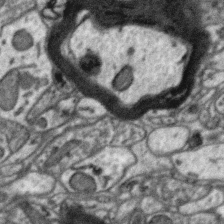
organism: Zebra finch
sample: Brain